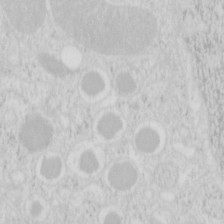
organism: Mouse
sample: Pancreas